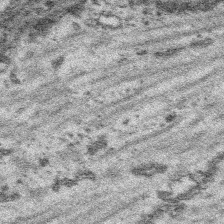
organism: Platynereis dumerilii